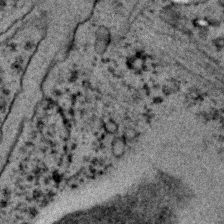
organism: C. elegans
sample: C. elegans embryo